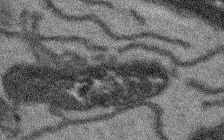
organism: Arabidopsis thaliana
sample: Root tip